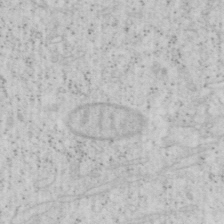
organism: Human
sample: HeLa cells